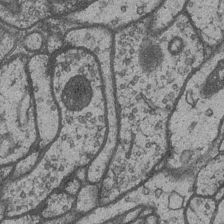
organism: Drosophila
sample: Optic medulla